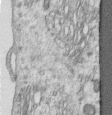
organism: Human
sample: Centriole in RPE cells